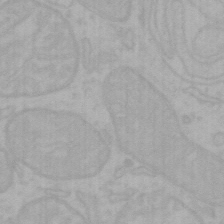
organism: Mouse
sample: Choroid plexus